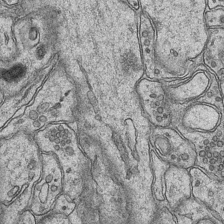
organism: Mouse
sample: CA1 Hippocampus